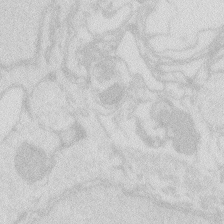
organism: Zebrafish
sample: Macrophage